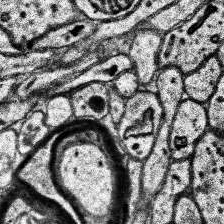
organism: Human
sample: Temporal Lobe